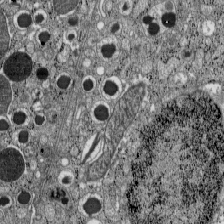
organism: C57BL Mouse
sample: Pancreatic islet